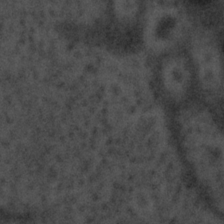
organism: Tuwongella immobilis